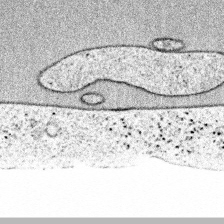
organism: Human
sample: HeLa cells